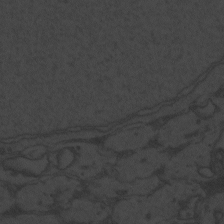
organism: Zebrafish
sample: Macrophage infected with Toxoplasma gondii